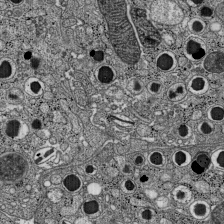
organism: C57BL Mouse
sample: Pancreatic islet